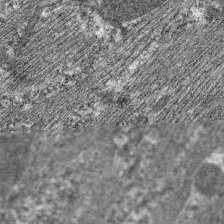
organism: C. elegans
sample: Pharynx